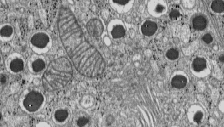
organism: C57BL Mouse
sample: Pancreatic islet